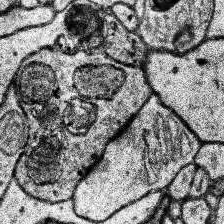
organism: Human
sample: Temporal Lobe